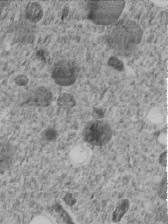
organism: C. elegans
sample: C. elegans embryo early stage